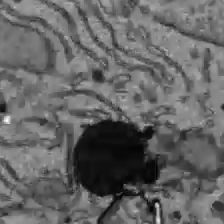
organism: C57BL Mouse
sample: Liver